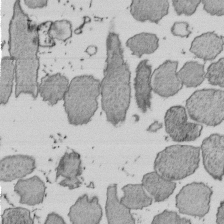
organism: E. coli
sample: Bacterial nucleoid